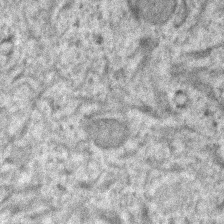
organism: Human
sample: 1205lu cells